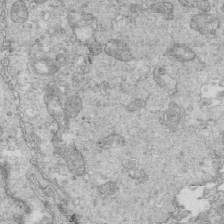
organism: Mouse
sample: Multiciliated cells